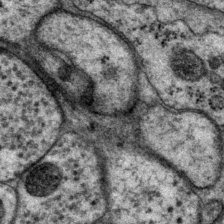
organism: P. pacificus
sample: Pharynx